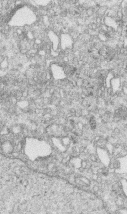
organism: Human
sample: HeLa cell HIV synapse